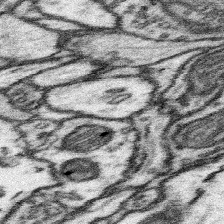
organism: Mouse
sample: Somatosensory cortex neuropil